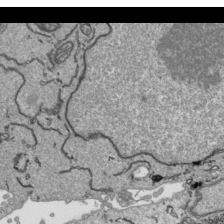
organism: Human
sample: Mitochondria in HCT116 cells